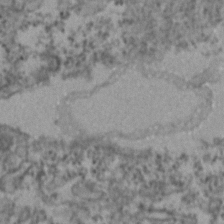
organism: Zebrafish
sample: Zebrafish embryo